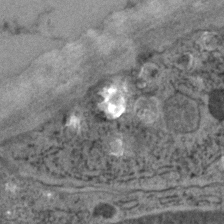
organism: C. elegans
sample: C. elegans embryo